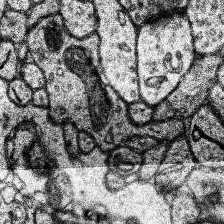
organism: Human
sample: Temporal Lobe